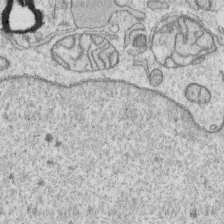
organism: Human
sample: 1205lu cells